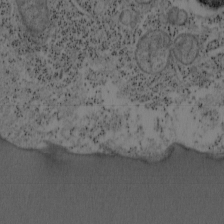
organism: Mouse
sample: OT-I killer T cells with ID8 ovarian cancer cells